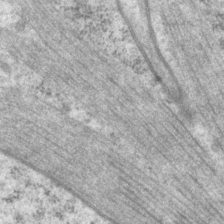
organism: P. pacificus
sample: Pharynx